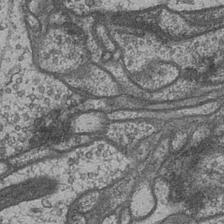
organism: Drosophila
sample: Optic medulla